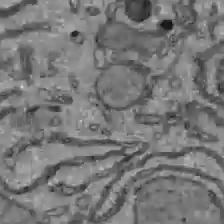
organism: C57BL Mouse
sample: Liver